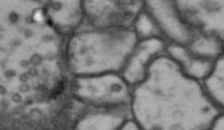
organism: Drosophila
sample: Brain